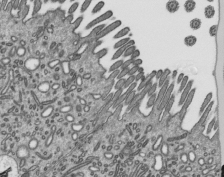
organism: Mouse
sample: Mouse epididymis efferent ductule cilia